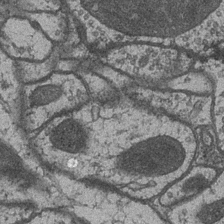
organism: Drosophila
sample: Optic medulla